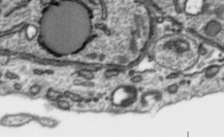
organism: Toxoplasma gondii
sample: Parasites in a vacuole inside a host cell